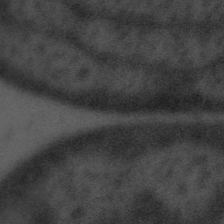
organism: Tuwongella immobilis